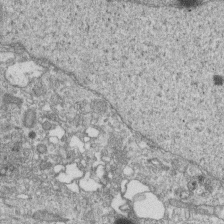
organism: Human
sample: HeLa cell HIV synapse